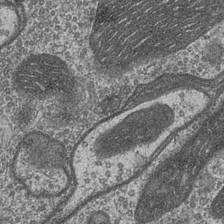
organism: Drosophila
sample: Optic medulla